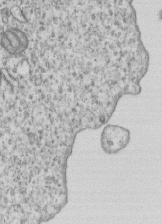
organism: Human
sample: MDA-MB-231 cells